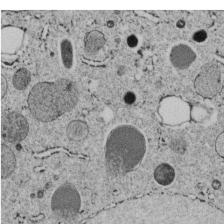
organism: C. elegans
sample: C. elegans embryo early stage